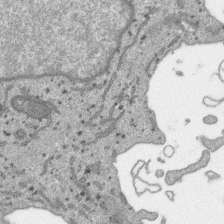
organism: Human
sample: Lung epithelial cells infected with SARS-CoV-2